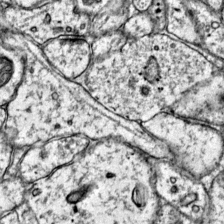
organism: Mouse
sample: Primary visual cortex